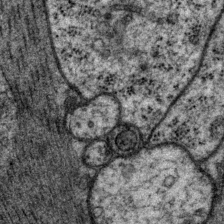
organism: P. pacificus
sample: Pharynx